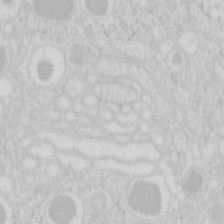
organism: Mouse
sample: Pancreas